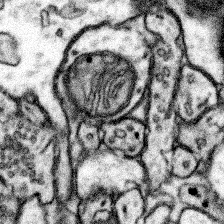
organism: Mouse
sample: Somatosensory cortex neuropil